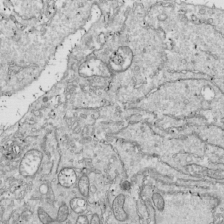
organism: Drosophila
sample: Cell division; meiosis; drosophila spermatocytes